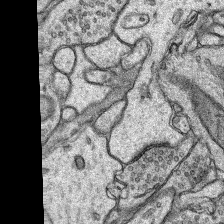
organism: Rat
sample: Hippocampus